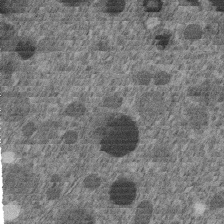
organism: C. elegans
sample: C. elegans embryo early stage